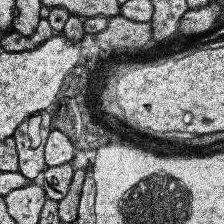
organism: Human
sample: Temporal Lobe